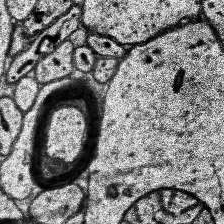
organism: Human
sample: Temporal Lobe